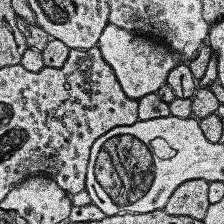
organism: Human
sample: Temporal Lobe